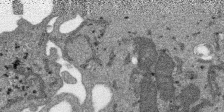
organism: Human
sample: Lung epithelial cells infected with SARS-CoV-2